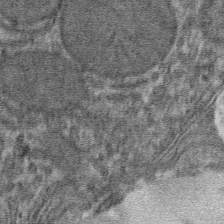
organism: Mouse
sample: Mouse hepatocytes